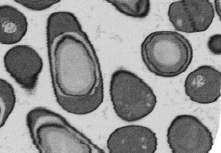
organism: B. subtilis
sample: Bacterial spore